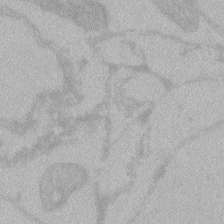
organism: Zebrafish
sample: Macrophage infected with Toxoplasma gondii